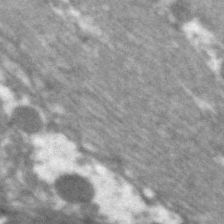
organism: C. elegans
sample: Pharynx